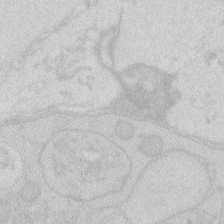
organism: Zebrafish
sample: Macrophage